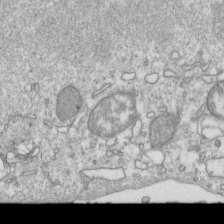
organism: Mouse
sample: Activated OT-1 CD8+ T cells